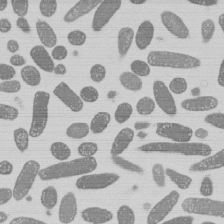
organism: E. coli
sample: Bacterial nucleoid